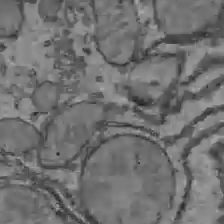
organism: C57BL Mouse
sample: Liver